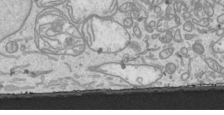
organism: Human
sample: Mitochondria in HCT116 cells